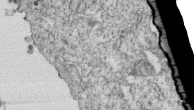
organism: Human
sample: HeLa cell HIV synapse